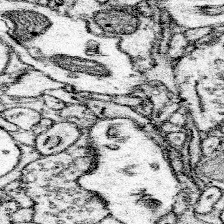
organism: Mouse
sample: Somatosensory cortex neuropil